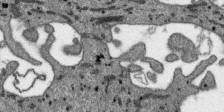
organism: Human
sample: Lung epithelial cells, uninfected (mock) control